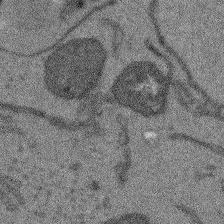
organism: Arabidopsis thaliana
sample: Root tip